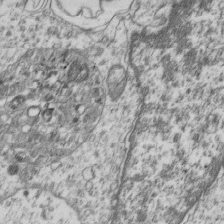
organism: Human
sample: MDA-MB-231 cells